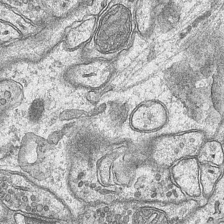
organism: Mouse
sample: CA1 Hippocampus